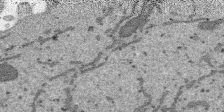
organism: Human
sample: Lung epithelial cells infected with SARS-CoV-2